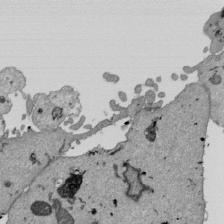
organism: Mouse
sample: ED-1 cell nuclei; centrioles